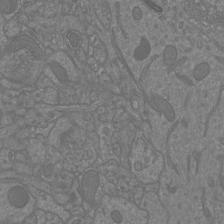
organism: Mouse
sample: Cortical neurons